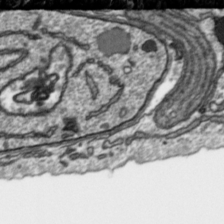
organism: Toxoplasma gondii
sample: Parasites in a vacuole inside a host cell